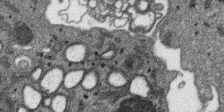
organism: Human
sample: Lung epithelial cells infected with SARS-CoV-2